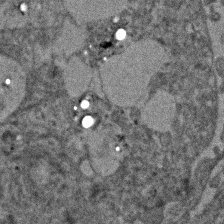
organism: Human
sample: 1205lu cells